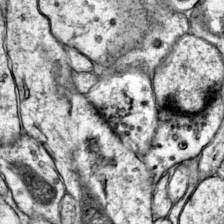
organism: Mouse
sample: Primary visual cortex